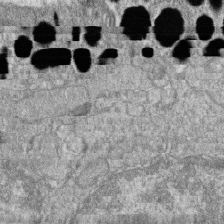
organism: Zebrafish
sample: Cilia; retinal pigment epithelium